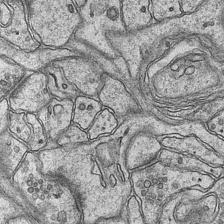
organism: Mouse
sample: CA1 Hippocampus